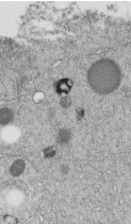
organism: C. elegans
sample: C. elegans embryo early stage